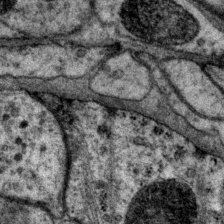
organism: P. pacificus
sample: Pharynx